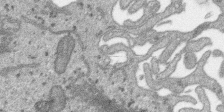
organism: Human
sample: Lung epithelial cells infected with SARS-CoV-2